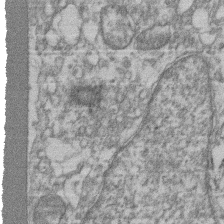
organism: Mouse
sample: T cell stromal cell synapse